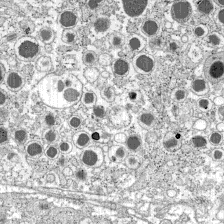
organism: C57BL Mouse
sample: Pancreatic islet